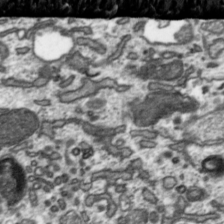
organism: Toxoplasma gondii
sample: Parasites in a vacuole inside a host cell